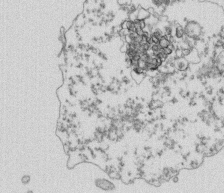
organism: Human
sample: HeLa cell HIV synapse